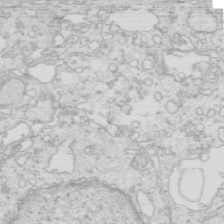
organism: Mouse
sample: Multiciliated cells